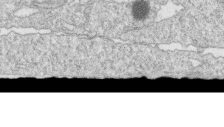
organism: Human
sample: HeLa cell HIV synapse